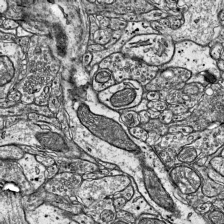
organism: Mouse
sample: Visual Cortex